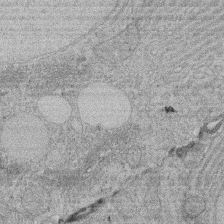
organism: Rat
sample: Salivary granule